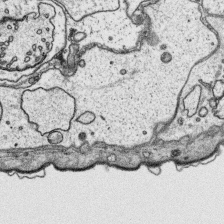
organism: Platynereis dumerilii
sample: Parapodia